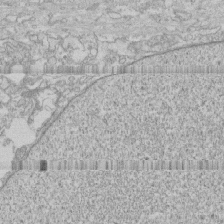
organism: Human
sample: CRL-1474